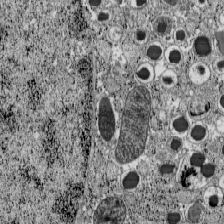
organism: C57BL Mouse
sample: Pancreatic islet